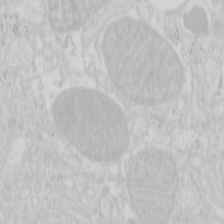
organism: Mouse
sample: Pancreas